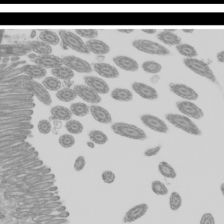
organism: Mouse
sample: Cilia; mouse epididymis